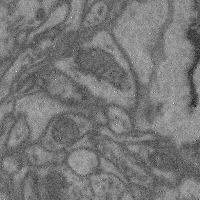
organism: Mouse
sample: Cerebral cortex